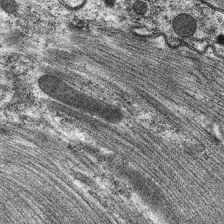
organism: C. elegans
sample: Pharynx